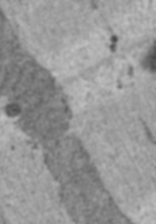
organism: C57BL Mouse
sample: Heart